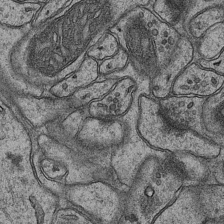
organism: Mouse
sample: CA1 Hippocampus